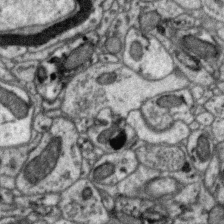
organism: Zebra finch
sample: Brain